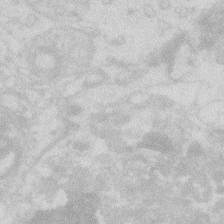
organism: Zebrafish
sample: Macrophage